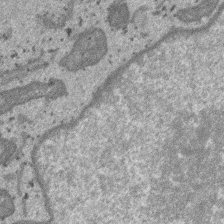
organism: Human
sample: Lung epithelial cells infected with SARS-CoV-2